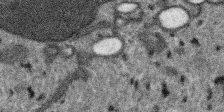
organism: Human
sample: Lung epithelial cells infected with SARS-CoV-2